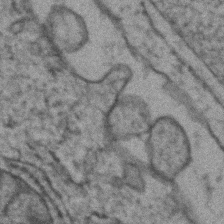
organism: Zebrafish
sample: Zebrafish embryo